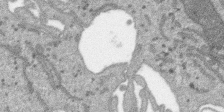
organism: Human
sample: Lung epithelial cells infected with SARS-CoV-2